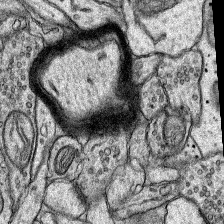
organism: Rat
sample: Hippocampus